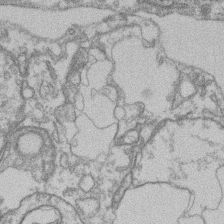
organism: Mouse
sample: T cell stromal cell synapse